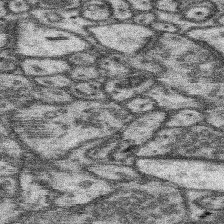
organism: Mouse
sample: Somatosensory cortex neuropil